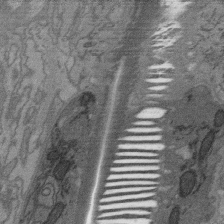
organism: C. elegans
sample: AFD neurons C. elegans